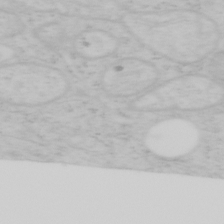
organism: Mouse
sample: OT-I killer T cells with ID8 ovarian cancer cells